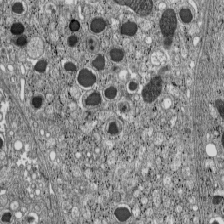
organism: C57BL Mouse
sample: Pancreatic islet